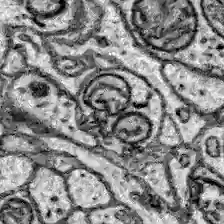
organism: Zebrafish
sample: Brain